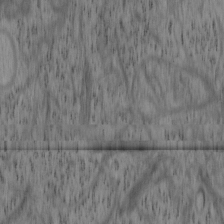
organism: Human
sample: HeLa cells